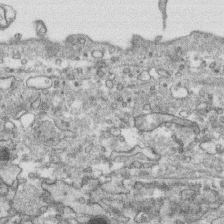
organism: Human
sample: CRL-1474